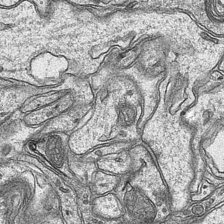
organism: Mouse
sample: CA1 Hippocampus